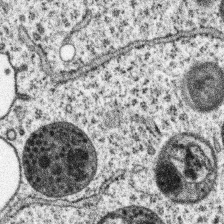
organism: Human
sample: HeLa cells